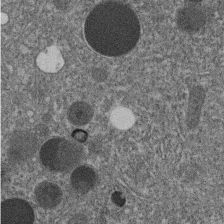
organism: C. elegans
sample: C. elegans embryo early stage